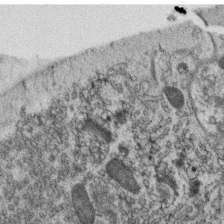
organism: C. elegans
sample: C. elegans oocyte; sperm cells